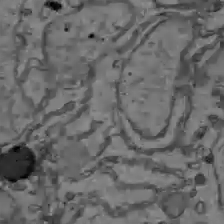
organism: C57BL Mouse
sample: Liver